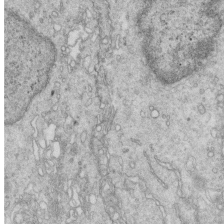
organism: Mouse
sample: Multiciliated cells